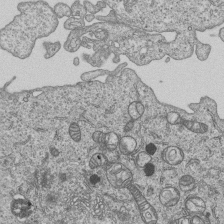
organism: Human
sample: MDA-MB-231 cells